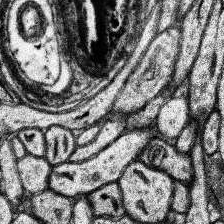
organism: Human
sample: Temporal Lobe